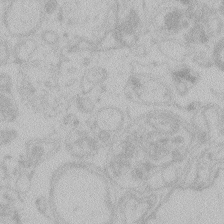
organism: Zebrafish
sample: Macrophage infected with Toxoplasma gondii